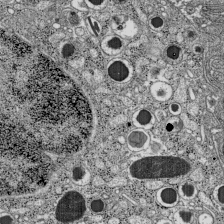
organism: C57BL Mouse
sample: Pancreatic islet